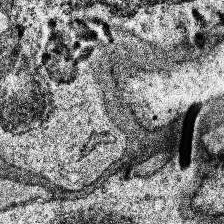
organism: Human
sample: Temporal Lobe